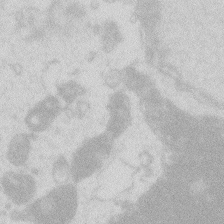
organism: Zebrafish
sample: Macrophage